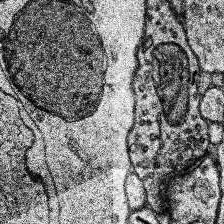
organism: Human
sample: Temporal Lobe